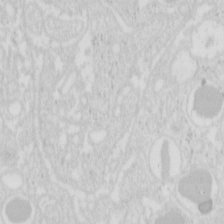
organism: Mouse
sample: Pancreas